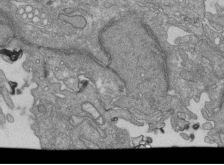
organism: Human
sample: Retinal organoid Rod and Cone cells